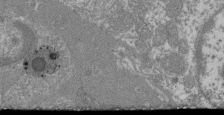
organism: Mouse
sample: Glomerulus